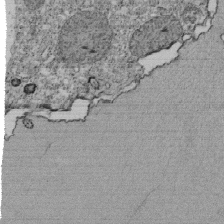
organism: Tetrahymena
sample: Cilia in tetrahymena